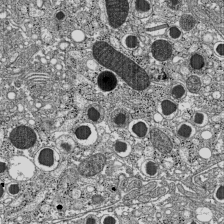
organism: C57BL Mouse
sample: Pancreatic islet